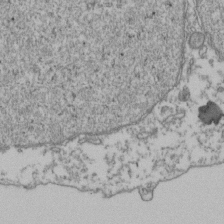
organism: Human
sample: Activated Jurkat CD4+ T cells